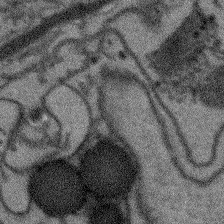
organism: Arabidopsis thaliana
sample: Root tip